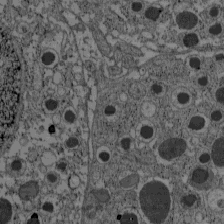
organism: C57BL Mouse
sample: Pancreatic islet